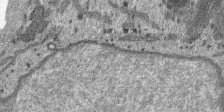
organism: Human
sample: Lung epithelial cells infected with SARS-CoV-2